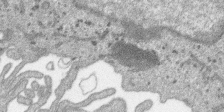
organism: Human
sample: Lung epithelial cells infected with SARS-CoV-2